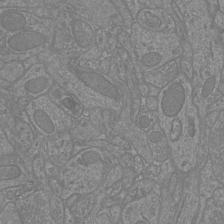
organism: Mouse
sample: Cortical neurons